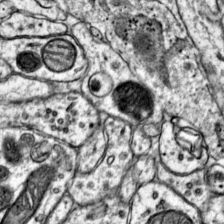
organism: Mouse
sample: Primary visual cortex